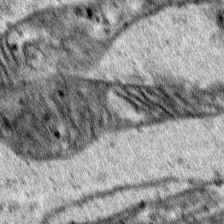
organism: Human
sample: Mitochondria in HCT116 cells